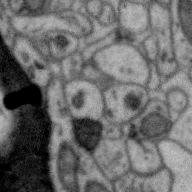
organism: Zebra finch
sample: Brain